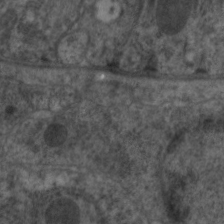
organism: C. elegans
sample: Pharynx